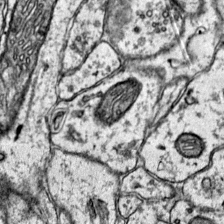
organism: Mouse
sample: Primary visual cortex